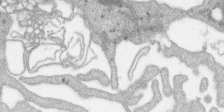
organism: Human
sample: Lung epithelial cells infected with SARS-CoV-2